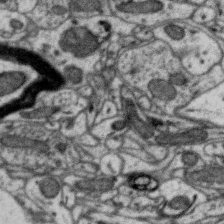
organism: Zebra finch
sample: Brain